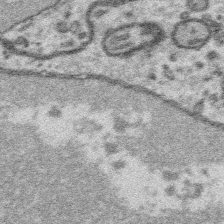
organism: Platynereis dumerilii